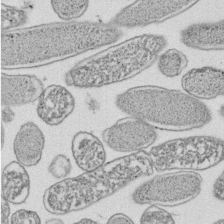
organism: E. coli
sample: Bacterial nucleoid